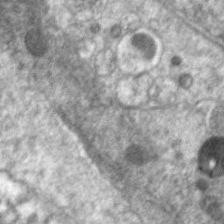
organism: C. elegans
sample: Pharynx